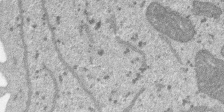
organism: Human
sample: Lung epithelial cells infected with SARS-CoV-2